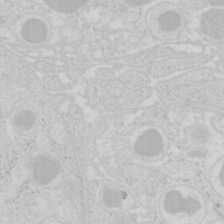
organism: Mouse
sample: Pancreas